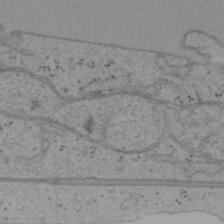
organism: Human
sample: HeLa cells